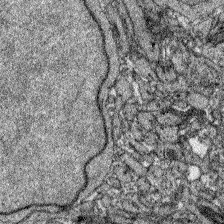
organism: Zebrafish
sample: Larval olfactory bulb